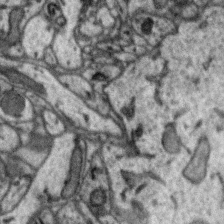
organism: Zebra finch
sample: Brain